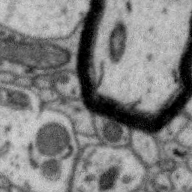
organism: Zebra finch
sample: Brain